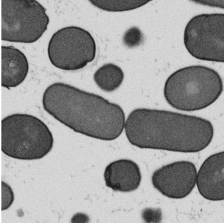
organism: B. subtilis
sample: Bacterial spore